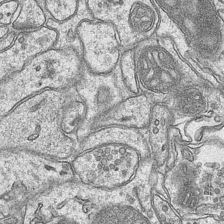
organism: Mouse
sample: CA1 Hippocampus